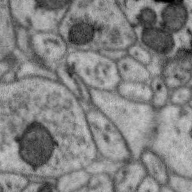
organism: Zebra finch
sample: Brain